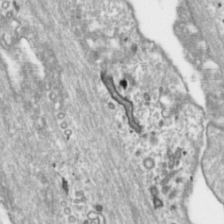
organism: Toxoplasma gondii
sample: Parasites in a vacuole inside a host cell